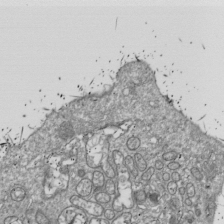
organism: Drosophila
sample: Cell division; meiosis; drosophila spermatocytes